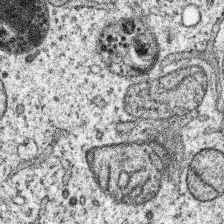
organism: Human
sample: HeLa cells